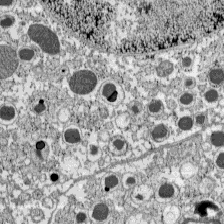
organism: C57BL Mouse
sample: Pancreatic islet